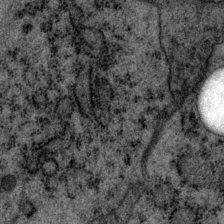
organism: P. pacificus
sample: Pharynx